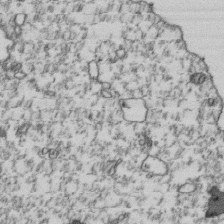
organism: Human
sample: Activated Jurkat CD4+ T cells